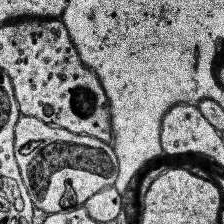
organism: Human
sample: Temporal Lobe